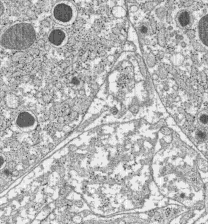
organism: C57BL Mouse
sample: Pancreatic islet